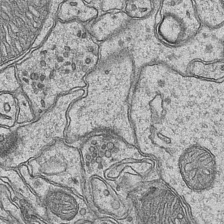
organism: Mouse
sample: CA1 Hippocampus